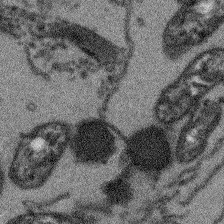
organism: Arabidopsis thaliana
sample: Root tip